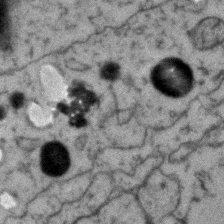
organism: Zebrafish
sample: Zebrafish embryo